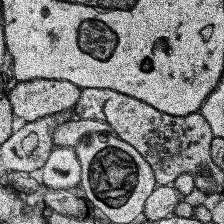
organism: Human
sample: Temporal Lobe